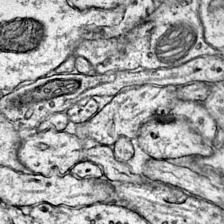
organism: Mouse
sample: Primary visual cortex